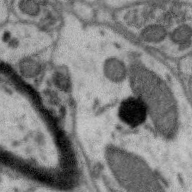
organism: Zebra finch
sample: Brain